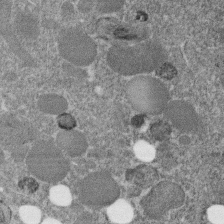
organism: C. elegans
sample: C. elegans embryo early stage